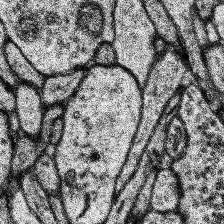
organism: Human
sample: Temporal Lobe